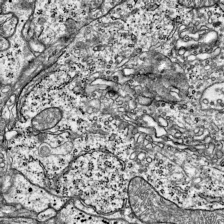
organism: Mouse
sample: Visual Cortex